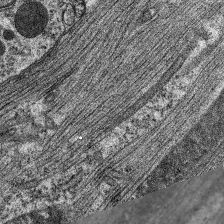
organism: C. elegans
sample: Pharynx